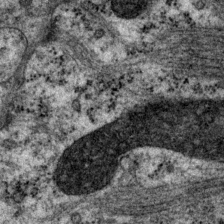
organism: P. pacificus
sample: Pharynx